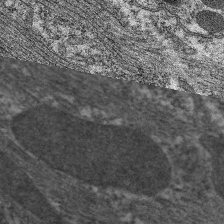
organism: C. elegans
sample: Pharynx